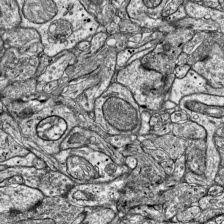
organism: Mouse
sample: Visual Cortex